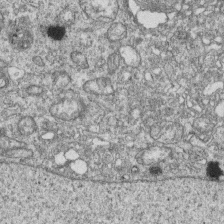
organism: Human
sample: HeLa cell HIV synapse